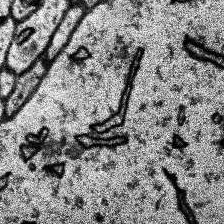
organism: Human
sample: Temporal Lobe